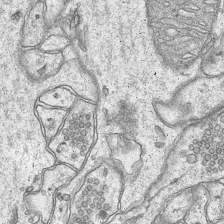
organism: Mouse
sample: CA1 Hippocampus